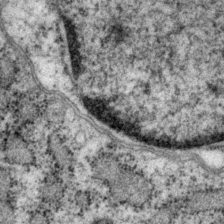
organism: P. pacificus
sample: Pharynx